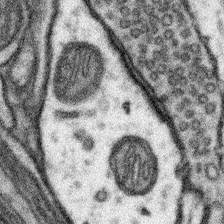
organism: Mouse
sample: Somatosensory cortex neuropil